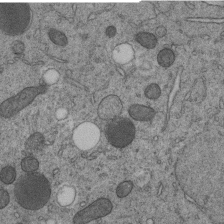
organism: C. elegans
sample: C. elegans embryo early stage